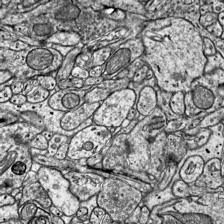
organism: Mouse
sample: Visual Cortex